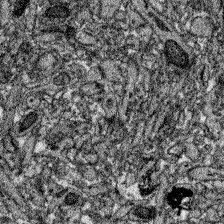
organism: Zebrafish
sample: Larval olfactory bulb